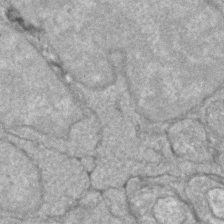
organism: Zebrafish